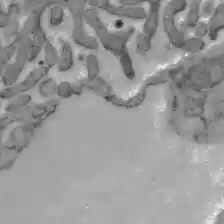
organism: C57BL Mouse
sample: Liver